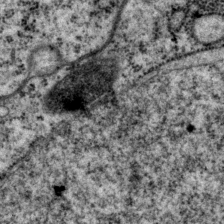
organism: P. pacificus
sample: Pharynx